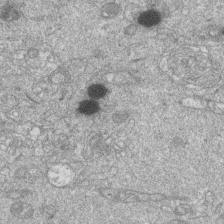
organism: Human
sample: HeLa cell HIV synapse